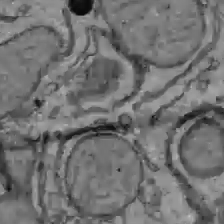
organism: C57BL Mouse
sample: Liver